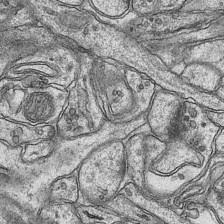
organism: Mouse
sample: CA1 Hippocampus